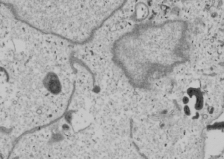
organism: Human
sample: Mitochondria in U2OS cells